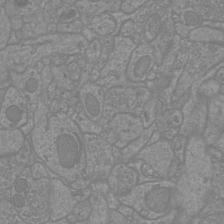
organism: Mouse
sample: Cortical neurons